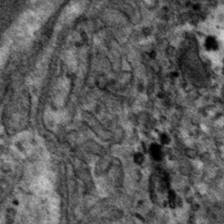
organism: Mouse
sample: Mouse hepatocytes